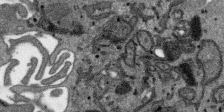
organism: Human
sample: Lung epithelial cells, uninfected (mock) control